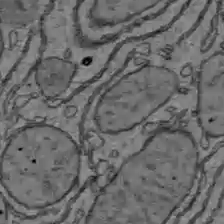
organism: C57BL Mouse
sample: Liver